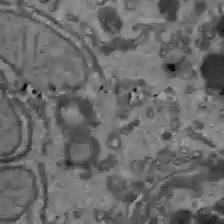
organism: C57BL Mouse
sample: Liver